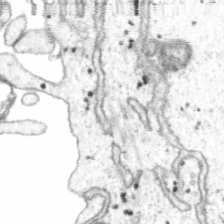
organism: Human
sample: HeLa cells